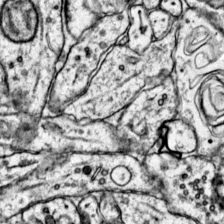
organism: Mouse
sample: Primary visual cortex